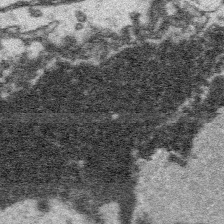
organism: Platynereis dumerilii